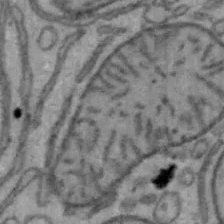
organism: Mouse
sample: Liver